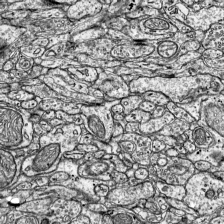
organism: Mouse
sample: Visual Cortex